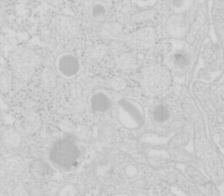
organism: Mouse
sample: Pancreas